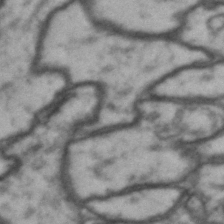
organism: Drosophila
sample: Brain